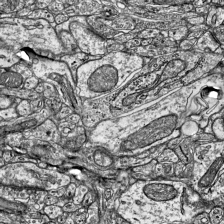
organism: Mouse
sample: Visual Cortex